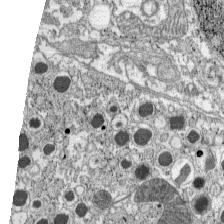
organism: C57BL Mouse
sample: Pancreatic islet